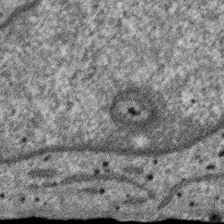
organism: Human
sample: Lung epithelial cells infected with SARS-CoV-2